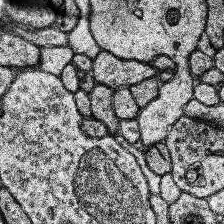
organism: Human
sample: Temporal Lobe